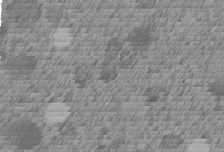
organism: C. elegans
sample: C. elegans embryo early stage